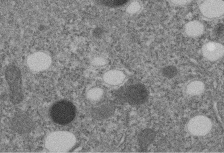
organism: C. elegans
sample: C. elegans embryo early stage